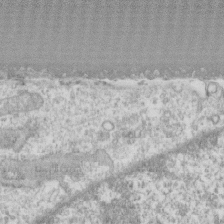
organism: Human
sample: CRL-1474